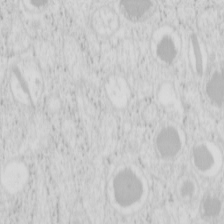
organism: Mouse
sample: Pancreas